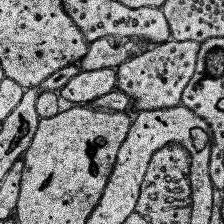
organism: Human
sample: Temporal Lobe